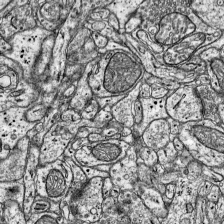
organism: Mouse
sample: Visual Cortex